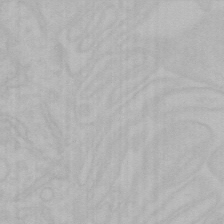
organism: Mouse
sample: Choroid plexus